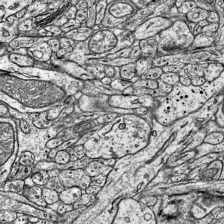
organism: Mouse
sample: Visual Cortex